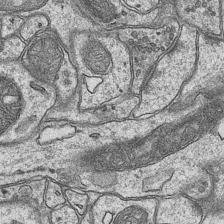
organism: Mouse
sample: CA1 Hippocampus